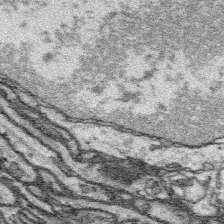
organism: Platynereis dumerilii